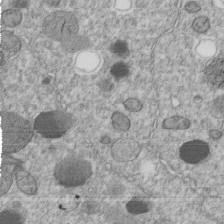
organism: C. elegans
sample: C. elegans embryo early stage